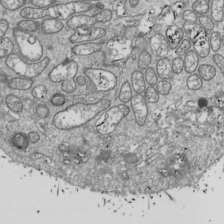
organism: Drosophila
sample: Cell division; meiosis; drosophila spermatocytes